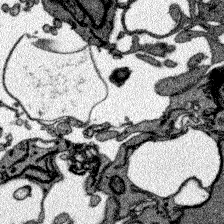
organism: Zebrafish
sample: Larval olfactory bulb